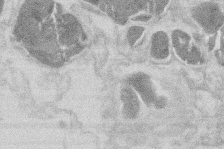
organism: Mouse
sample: T cell stromal cell synapse